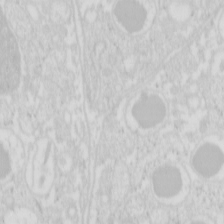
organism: Mouse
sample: Pancreas